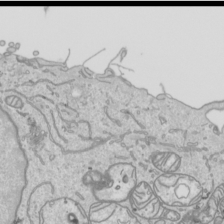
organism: Human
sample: Mitochondria in HCT116 cells